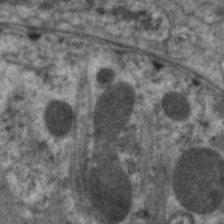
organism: C. elegans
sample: Pharynx